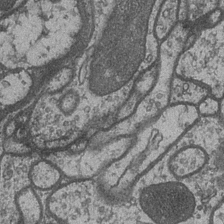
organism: Drosophila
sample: Optic medulla